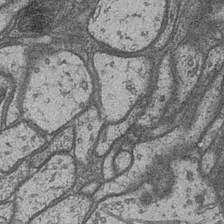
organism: Drosophila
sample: Optic medulla